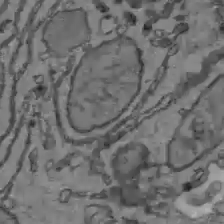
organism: C57BL Mouse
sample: Liver